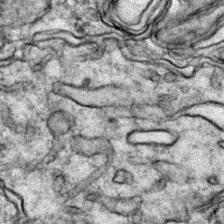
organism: Zebrafish